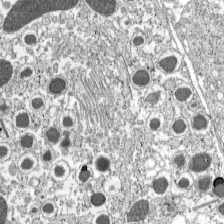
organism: C57BL Mouse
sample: Pancreatic islet